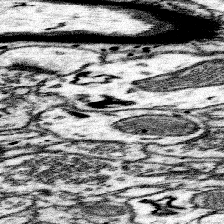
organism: Mouse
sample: Somatosensory cortex neuropil